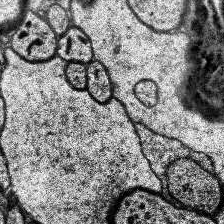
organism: Human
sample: Temporal Lobe